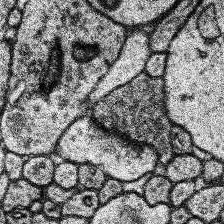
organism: Human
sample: Temporal Lobe